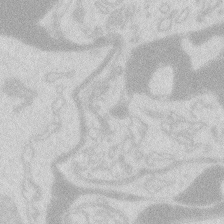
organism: Zebrafish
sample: Macrophage